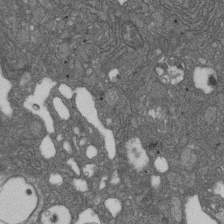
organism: Drosophila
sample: Nephrocyte